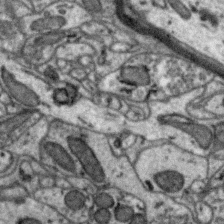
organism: Zebra finch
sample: Brain